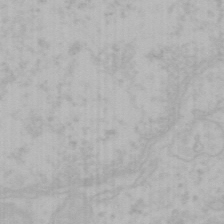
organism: Mouse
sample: Choroid plexus